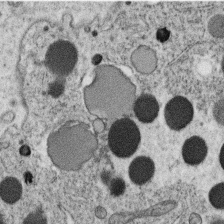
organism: C. elegans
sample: C. elegans oocyte; sperm cells